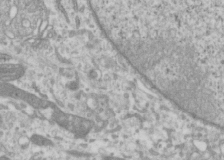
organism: Human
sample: Cilia; basal body in RPE cells